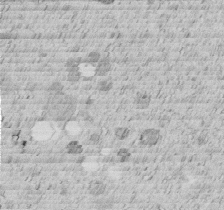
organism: C. elegans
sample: C. elegans embryo early stage